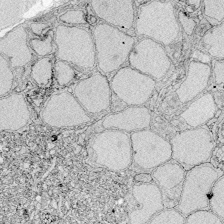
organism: Zebrafish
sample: Whole-Brain